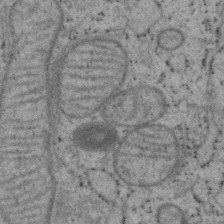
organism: Human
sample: HeLa cells